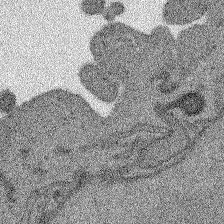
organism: Human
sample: HeLa cells